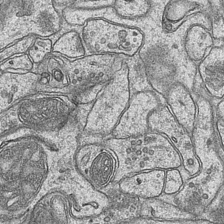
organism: Mouse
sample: CA1 Hippocampus